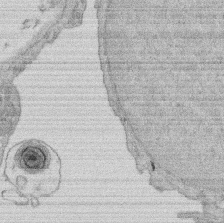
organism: Rat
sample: Salivary granule